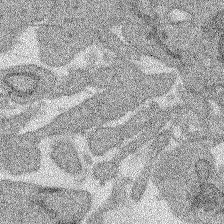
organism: Human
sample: HeLa cells